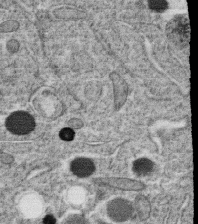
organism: C. elegans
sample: C. elegans oocyte; sperm cells